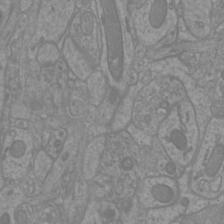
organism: Mouse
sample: Cortical neurons